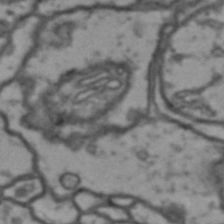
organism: Drosophila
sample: Brain